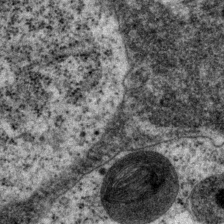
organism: P. pacificus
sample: Pharynx